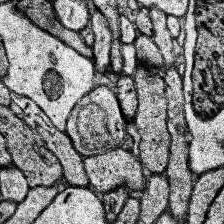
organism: Human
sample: Temporal Lobe